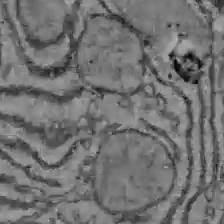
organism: C57BL Mouse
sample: Liver